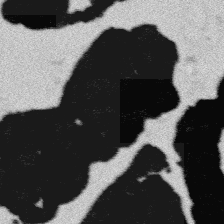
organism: Platynereis dumerilii